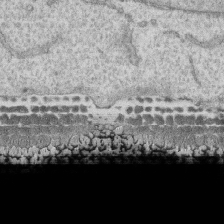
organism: Human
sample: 1205lu cells